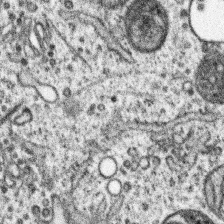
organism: Human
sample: HeLa cells